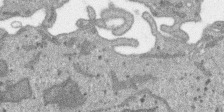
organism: Human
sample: Lung epithelial cells infected with SARS-CoV-2